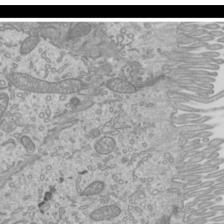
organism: Mouse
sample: Cilia; mouse epididymis